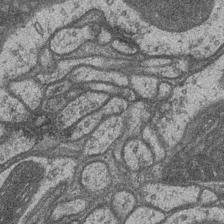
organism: Drosophila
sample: Optic medulla